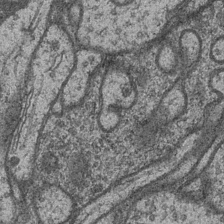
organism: Drosophila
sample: Optic medulla